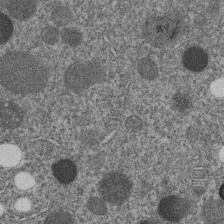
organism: C. elegans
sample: C. elegans embryo early stage